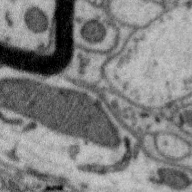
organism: Zebra finch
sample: Brain